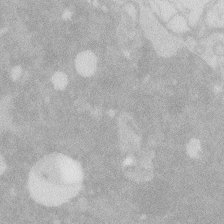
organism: Zebrafish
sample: Macrophage